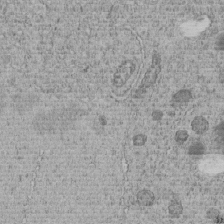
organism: C. elegans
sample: C. elegans embryo early stage